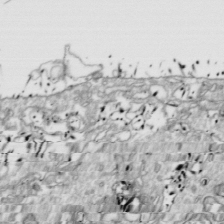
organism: Drosophila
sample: Cell division; meiosis; drosophila spermatocytes